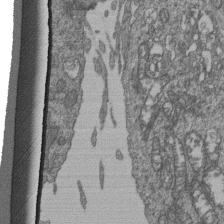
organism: Human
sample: Retinal organoid Rod and Cone cells